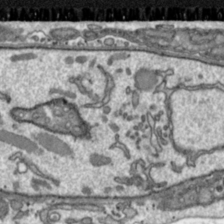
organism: Toxoplasma gondii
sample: Parasites in a vacuole inside a host cell